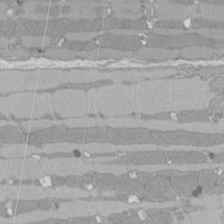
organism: Rat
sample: Left ventricle